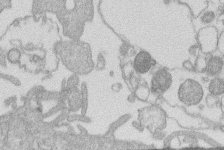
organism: Human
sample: Macrophage cells